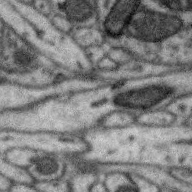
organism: Zebra finch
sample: Brain